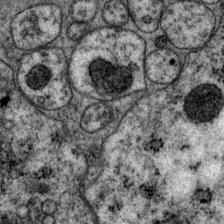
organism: P. pacificus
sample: Pharynx